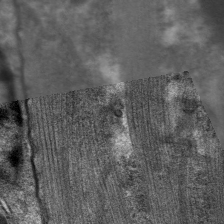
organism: C. elegans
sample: Pharynx